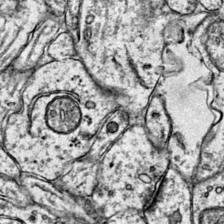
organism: Mouse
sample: Primary visual cortex